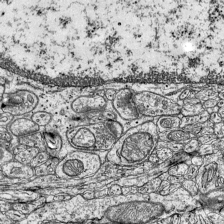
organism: Mouse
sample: Visual Cortex